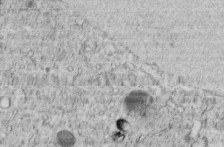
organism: C. elegans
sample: C. elegans embryo early stage